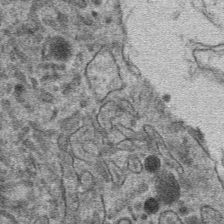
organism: Mouse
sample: Mouse hepatocytes